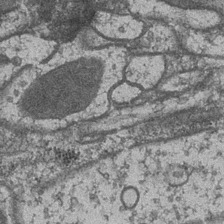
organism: Drosophila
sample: Optic medulla